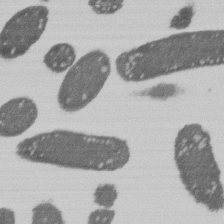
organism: E. coli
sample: Bacterial nucleoid